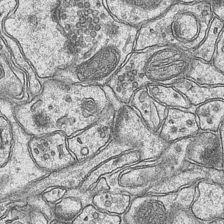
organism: Mouse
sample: CA1 Hippocampus